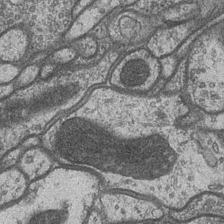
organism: Drosophila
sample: Optic medulla